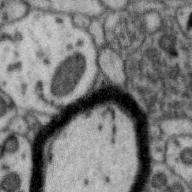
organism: Zebra finch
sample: Brain